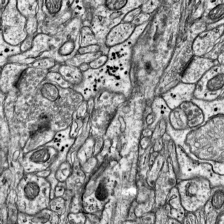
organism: Mouse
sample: Visual Cortex